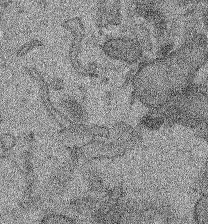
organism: Human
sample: HeLa cells